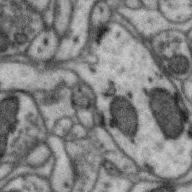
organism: Zebra finch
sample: Brain